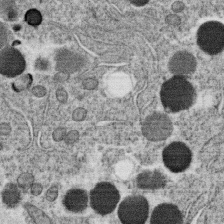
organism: C. elegans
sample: C. elegans oocyte; sperm cells